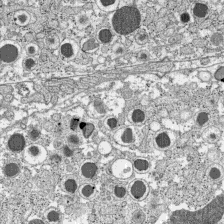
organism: C57BL Mouse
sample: Pancreatic islet